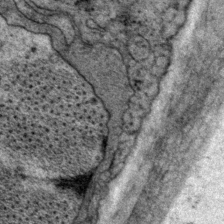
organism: P. pacificus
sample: Pharynx